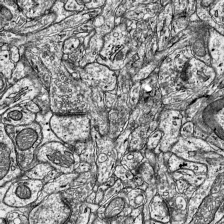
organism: Mouse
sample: Visual Cortex